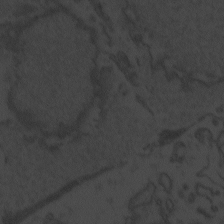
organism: Zebrafish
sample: Macrophage infected with Toxoplasma gondii